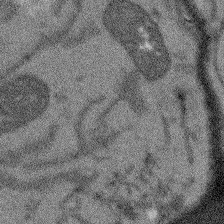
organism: Arabidopsis thaliana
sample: Root tip